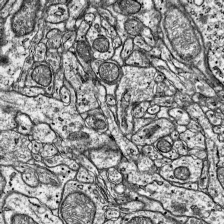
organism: Mouse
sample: Visual Cortex